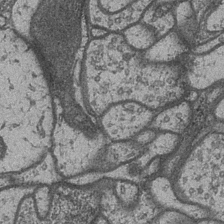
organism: Drosophila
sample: Optic medulla